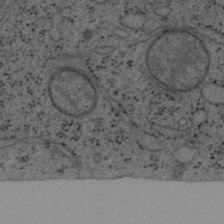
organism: Human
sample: HeLa cells